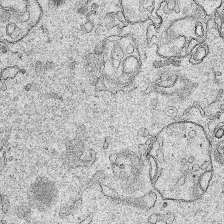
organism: Human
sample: Mitochondria in HCT116 cells